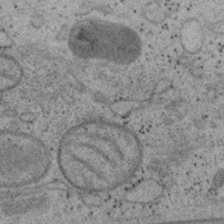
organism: Human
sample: HeLa cells